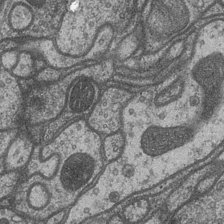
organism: Drosophila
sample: Optic medulla